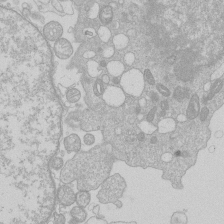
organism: Human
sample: Macrophage cells